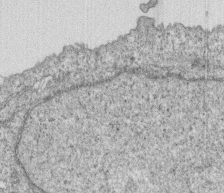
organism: Human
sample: HeLa cell HIV synapse